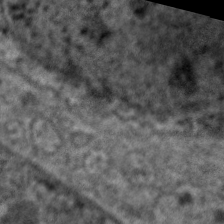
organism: C. elegans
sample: Pharynx